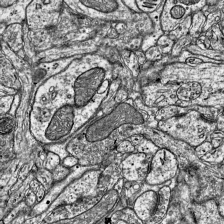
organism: Mouse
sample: Visual Cortex